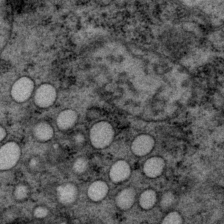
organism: P. pacificus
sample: Pharynx